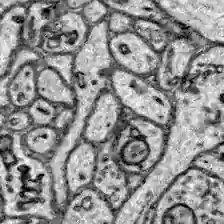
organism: Zebrafish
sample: Brain